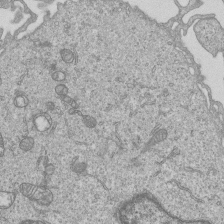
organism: Human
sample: MDA-MB-231 cells